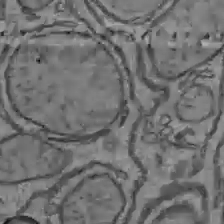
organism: C57BL Mouse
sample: Liver